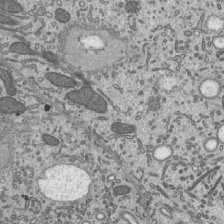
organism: Mouse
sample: Mouse epididymis efferent ductule cilia